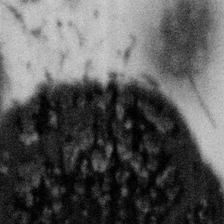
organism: Gemmata obscuriglobus